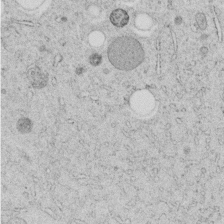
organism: C. elegans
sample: C. elegans embryo early stage